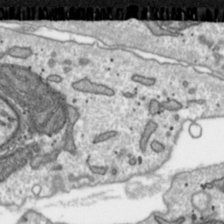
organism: Toxoplasma gondii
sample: Parasites in a vacuole inside a host cell